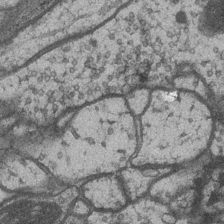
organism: Drosophila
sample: Optic medulla